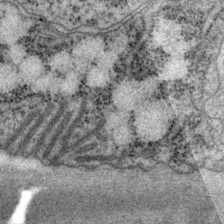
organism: P. pacificus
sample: Pharynx